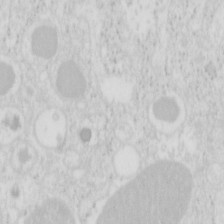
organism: Mouse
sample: Pancreas